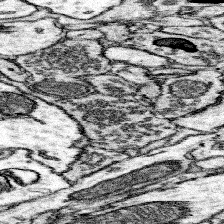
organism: Mouse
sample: Somatosensory cortex neuropil